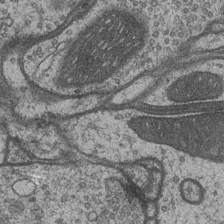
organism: Drosophila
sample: Optic medulla